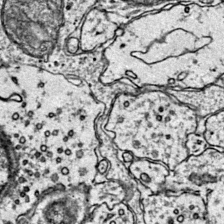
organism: Mouse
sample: Primary visual cortex